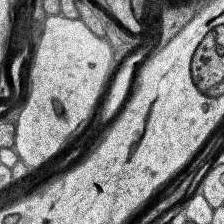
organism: Human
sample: Temporal Lobe